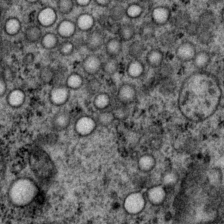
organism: P. pacificus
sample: Pharynx